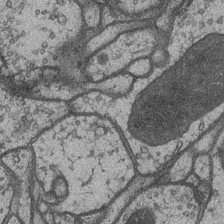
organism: Drosophila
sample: Optic medulla